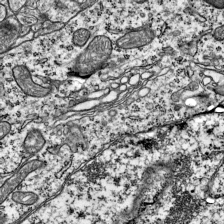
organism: Mouse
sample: Visual Cortex